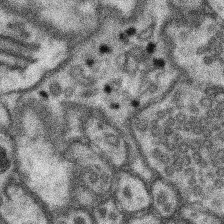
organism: Mouse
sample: Somatosensory cortex neuropil